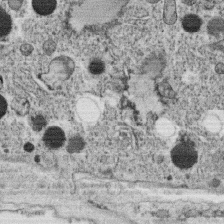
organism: C. elegans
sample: C. elegans oocyte; sperm cells